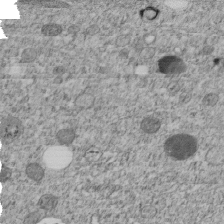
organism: C. elegans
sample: C. elegans embryo early stage